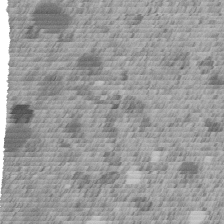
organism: C. elegans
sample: C. elegans embryo early stage